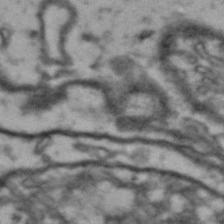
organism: Drosophila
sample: Brain